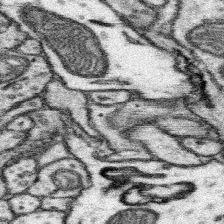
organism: Mouse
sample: Somatosensory cortex neuropil